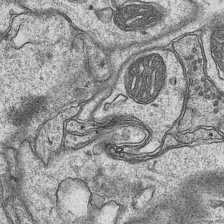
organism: Mouse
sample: CA1 Hippocampus